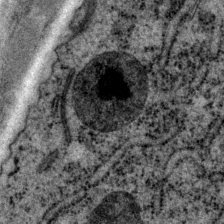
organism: P. pacificus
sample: Pharynx